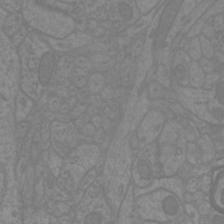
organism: Mouse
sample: Cortical neurons